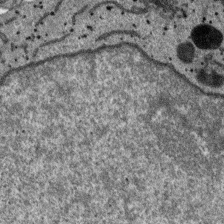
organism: Human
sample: Lung epithelial cells, uninfected (mock) control